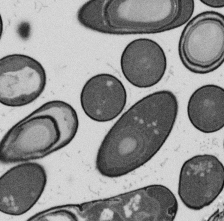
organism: B. subtilis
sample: Bacterial spore